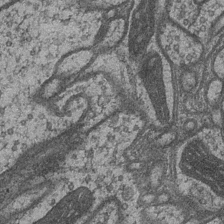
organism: Drosophila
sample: Optic medulla